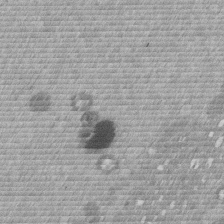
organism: Mouse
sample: Dividing mouse embryo 1 cell stage